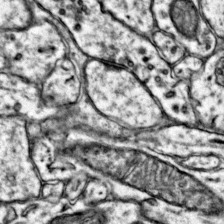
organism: Mouse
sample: Primary visual cortex